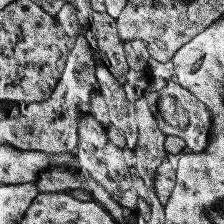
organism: Human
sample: Temporal Lobe